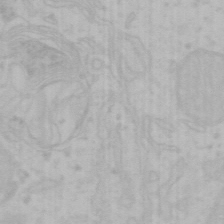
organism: Mouse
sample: Choroid plexus